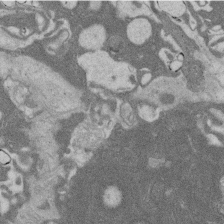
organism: Rat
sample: Salivary granule